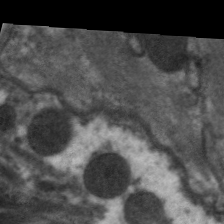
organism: C. elegans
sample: Pharynx